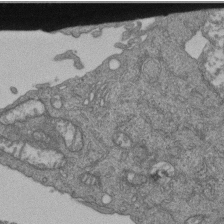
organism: Human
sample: Retinal organoid Rod and Cone cells